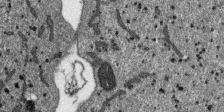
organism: Human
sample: Lung epithelial cells infected with SARS-CoV-2